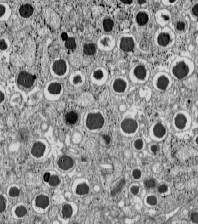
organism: C57BL Mouse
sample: Pancreatic islet